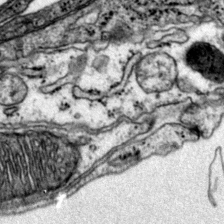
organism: Mouse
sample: Primary visual cortex